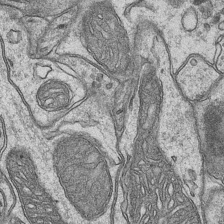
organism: Mouse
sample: CA1 Hippocampus